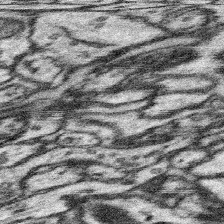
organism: Mouse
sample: Somatosensory cortex neuropil